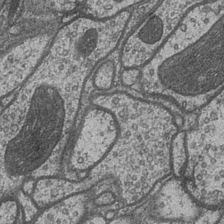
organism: Drosophila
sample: Optic medulla